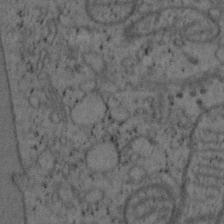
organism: Human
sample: HeLa cells